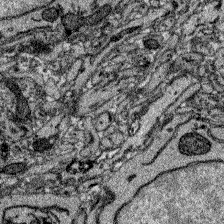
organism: Zebrafish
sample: Larval olfactory bulb